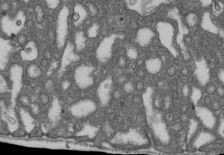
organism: Drosophila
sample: Nephrocyte